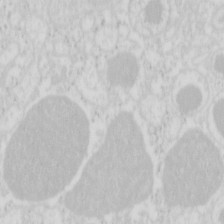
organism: Mouse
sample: Pancreas